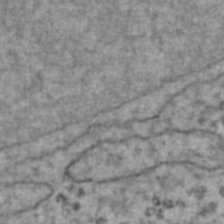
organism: Human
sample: Blood